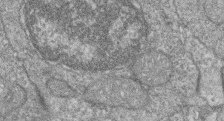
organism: Zebrafish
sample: Cilia; retinal pigment epithelium